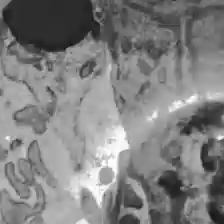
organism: C57BL Mouse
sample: Liver